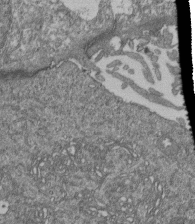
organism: Human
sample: Retinal organoid Rod and Cone cells